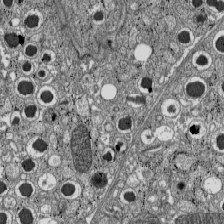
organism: C57BL Mouse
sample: Pancreatic islet